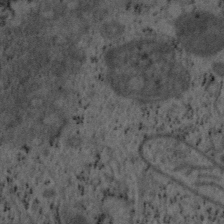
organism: Human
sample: HeLa cells